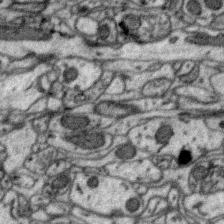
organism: Zebra finch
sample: Brain